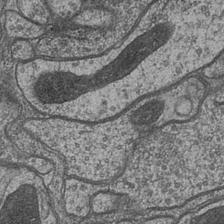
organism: Drosophila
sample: Optic medulla